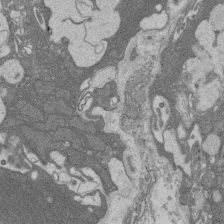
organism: Rat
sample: Salivary granule